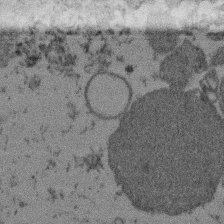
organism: Mouse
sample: Dividing mouse embryo 1 cell stage